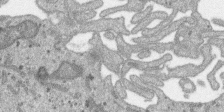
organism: Human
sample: Lung epithelial cells infected with SARS-CoV-2